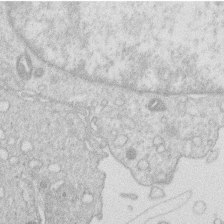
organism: Human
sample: Macrophage cells